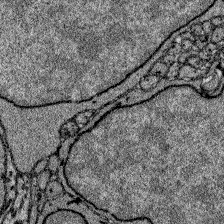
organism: Zebrafish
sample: Larval olfactory bulb